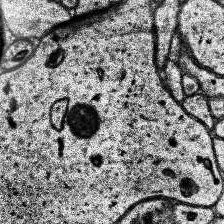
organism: Human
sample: Temporal Lobe